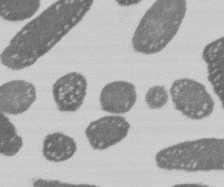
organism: E. coli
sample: Bacterial nucleoid